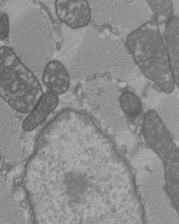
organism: C57BL Mouse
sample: Heart